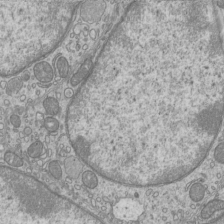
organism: Mouse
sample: Cilia; mouse epididymis